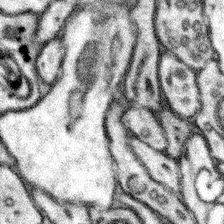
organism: Mouse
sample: Somatosensory cortex neuropil